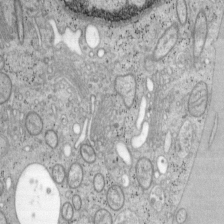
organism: Mouse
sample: OT-I killer T cells with ID8 ovarian cancer cells